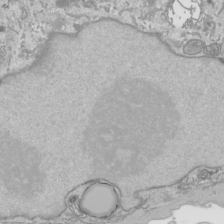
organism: Human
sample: Mitochondria in HCT116 cells